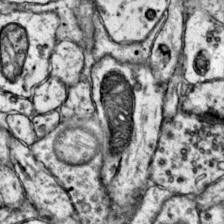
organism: Mouse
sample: Primary visual cortex